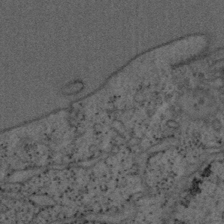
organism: Human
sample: HeLa cells